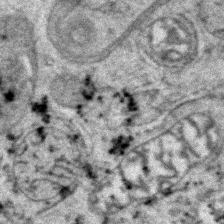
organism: Zebrafish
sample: Zebrafish embryo